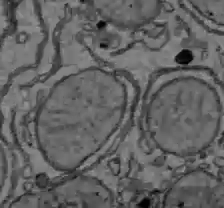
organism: C57BL Mouse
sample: Liver